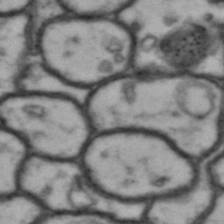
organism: Drosophila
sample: Brain